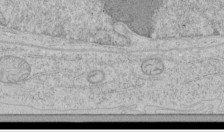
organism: Human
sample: Mitochondria in HCT116 cells